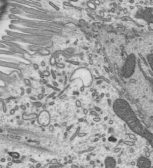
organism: Mouse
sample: Mouse epididymis efferent ductule cilia